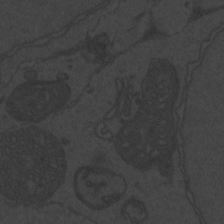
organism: Zebrafish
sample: Macrophage infected with Toxoplasma gondii